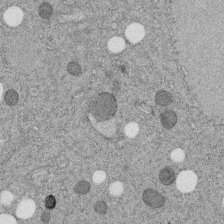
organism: C. elegans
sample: C. elegans embryo early stage